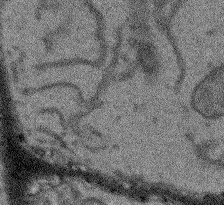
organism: Arabidopsis thaliana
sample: Root tip